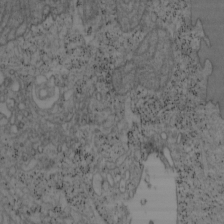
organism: Mouse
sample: OT-I killer T cells with ID8 ovarian cancer cells